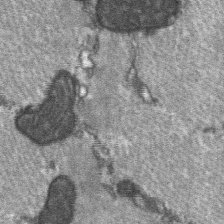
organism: C57BL Mouse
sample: Soleus